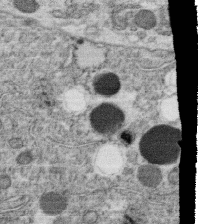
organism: C. elegans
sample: C. elegans oocyte; sperm cells